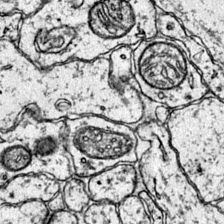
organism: Mouse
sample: Primary visual cortex